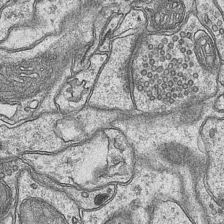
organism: Mouse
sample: CA1 Hippocampus